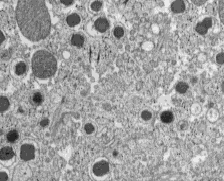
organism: C57BL Mouse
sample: Pancreatic islet